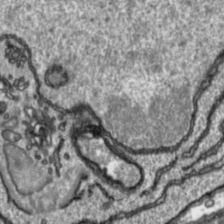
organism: Toxoplasma gondii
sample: Parasites in a vacuole inside a host cell